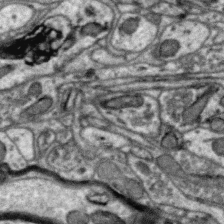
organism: Zebra finch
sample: Brain